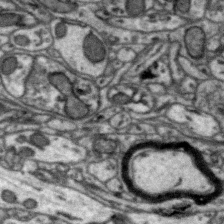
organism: Zebra finch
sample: Brain